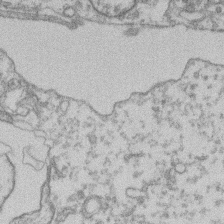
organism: Mouse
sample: T cell stromal cell synapse